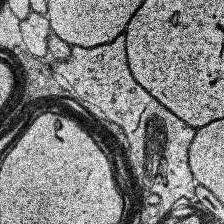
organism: Human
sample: Temporal Lobe